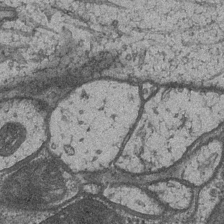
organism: Drosophila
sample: Optic medulla